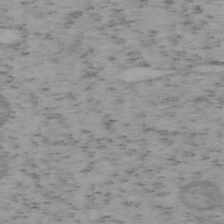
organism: Mouse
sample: OT-I killer T cells with ID8 ovarian cancer cells